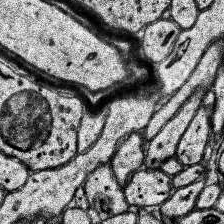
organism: Human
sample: Temporal Lobe